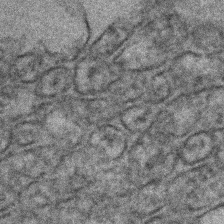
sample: Kidney